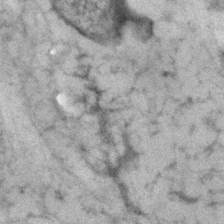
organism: Human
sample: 1205lu cells